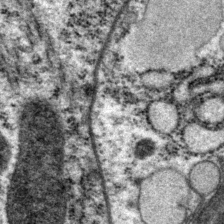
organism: P. pacificus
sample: Pharynx